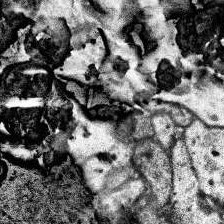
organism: Human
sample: Temporal Lobe